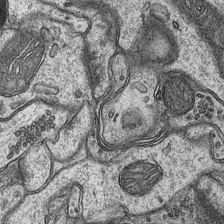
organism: Mouse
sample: CA1 Hippocampus